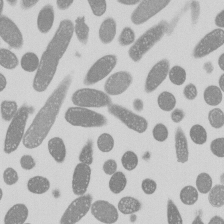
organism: E. coli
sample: Bacterial nucleoid